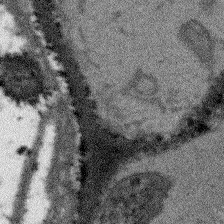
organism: Arabidopsis thaliana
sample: Root tip